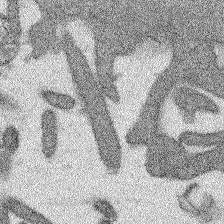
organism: Human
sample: HeLa cells